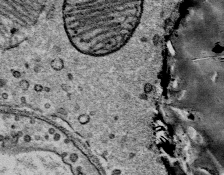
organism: Mouse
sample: Mouse Salivary gland